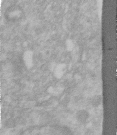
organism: Human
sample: Centriole in RPE cells